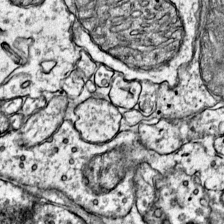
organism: Mouse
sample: Primary visual cortex